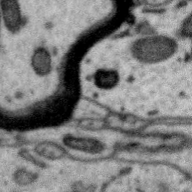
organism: Zebra finch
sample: Brain